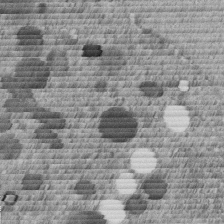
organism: C. elegans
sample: C. elegans embryo early stage